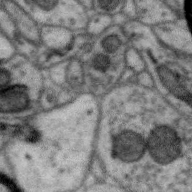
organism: Zebra finch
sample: Brain